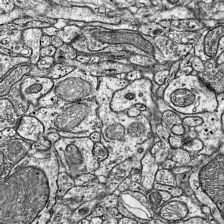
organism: Mouse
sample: Visual Cortex